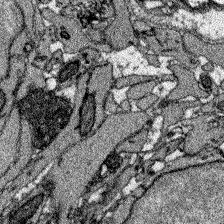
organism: Zebrafish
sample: Larval olfactory bulb